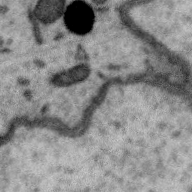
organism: Zebra finch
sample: Brain